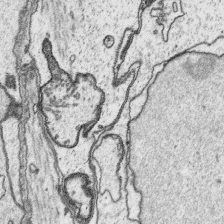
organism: Platynereis dumerilii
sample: Parapodia